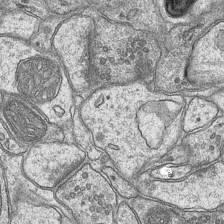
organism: Mouse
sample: CA1 Hippocampus